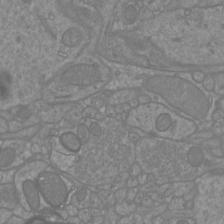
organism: Mouse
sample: Cortical neurons